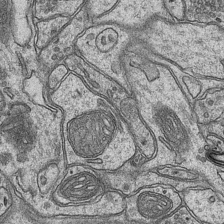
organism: Mouse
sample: CA1 Hippocampus